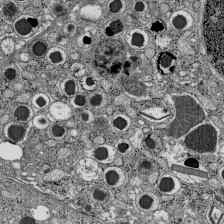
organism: C57BL Mouse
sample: Pancreatic islet